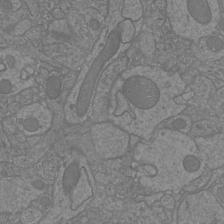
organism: Mouse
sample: Cortical neurons